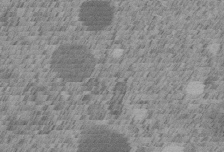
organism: C. elegans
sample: C. elegans embryo early stage